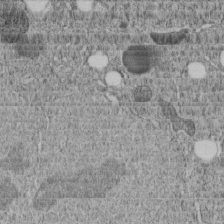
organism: C. elegans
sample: C. elegans embryo early stage